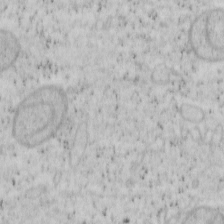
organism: Human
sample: HeLa cells